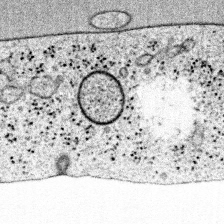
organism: Human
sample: HeLa cells